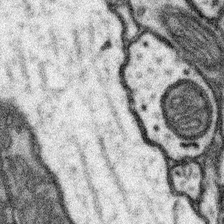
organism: Mouse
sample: Somatosensory cortex neuropil